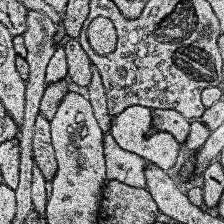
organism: Human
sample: Temporal Lobe